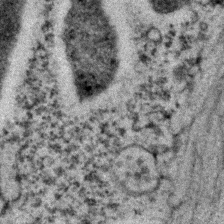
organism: C. elegans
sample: C. elegans embryo